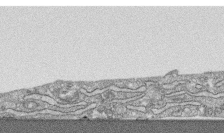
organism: Human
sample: CRL-1474